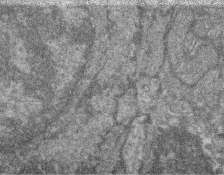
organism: Zebrafish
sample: Cilia; retinal pigment epithelium